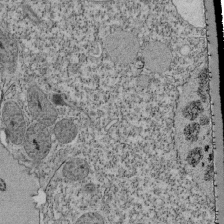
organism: Tetrahymena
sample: Cilia in tetrahymena